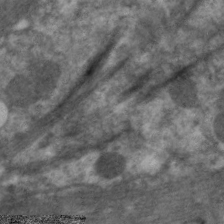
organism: C. elegans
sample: Pharynx